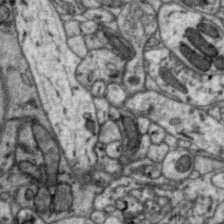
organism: Zebra finch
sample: Brain